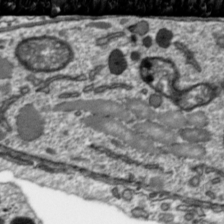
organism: Toxoplasma gondii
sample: Parasites in a vacuole inside a host cell